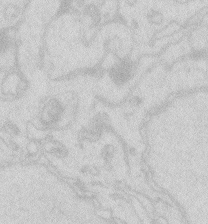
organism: Zebrafish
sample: Macrophage